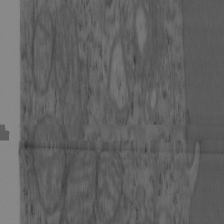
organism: Human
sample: HeLa cells